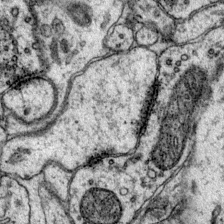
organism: Mouse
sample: Primary visual cortex